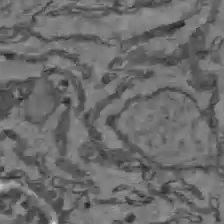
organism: C57BL Mouse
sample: Liver